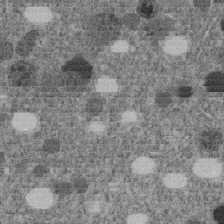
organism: C. elegans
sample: C. elegans embryo early stage